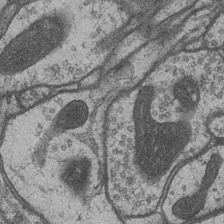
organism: Drosophila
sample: Optic medulla